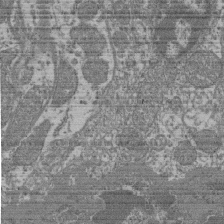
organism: Mouse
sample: Glomerulus